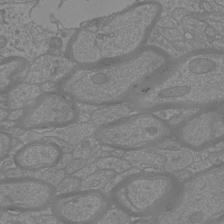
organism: Mouse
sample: Cortical neurons